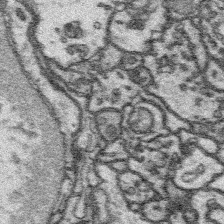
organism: Platynereis dumerilii